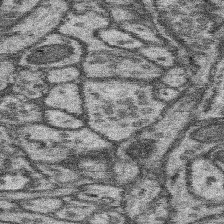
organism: Mouse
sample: Somatosensory cortex neuropil